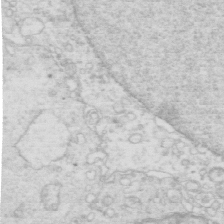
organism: Mouse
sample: Multiciliated cells